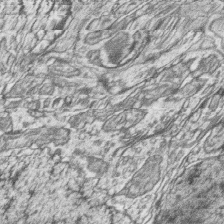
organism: Zebrafish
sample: synaptic ribbons in rod cells and cone cells